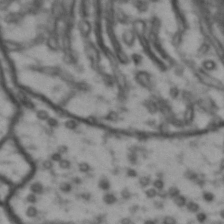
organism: Drosophila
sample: Brain